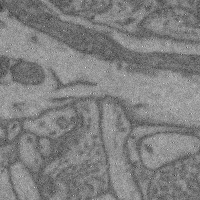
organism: Mouse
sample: Cerebral cortex